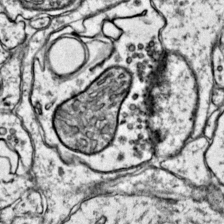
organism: Mouse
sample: Primary visual cortex